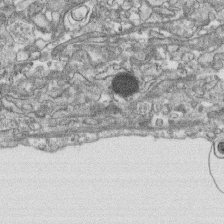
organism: Human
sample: CRL-1474